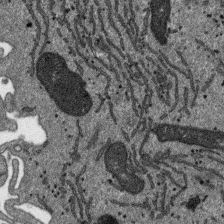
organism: Human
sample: Lung epithelial cells infected with SARS-CoV-2